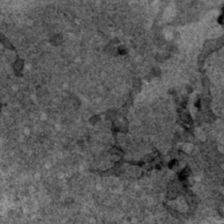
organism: Human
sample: Mitochondria in HCT116 cells